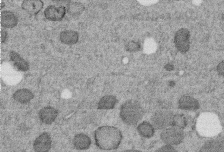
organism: C. elegans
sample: C. elegans embryo early stage